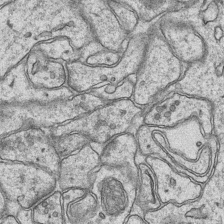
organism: Mouse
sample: CA1 Hippocampus